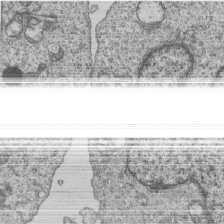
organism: Human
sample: MDA-MB-231 cells